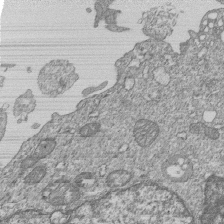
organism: Human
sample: MDA-MB-231 cells